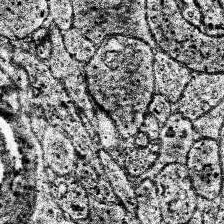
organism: Human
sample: Temporal Lobe